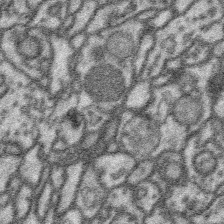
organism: Platynereis dumerilii